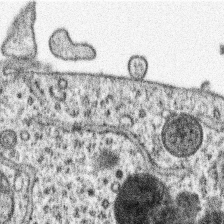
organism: Human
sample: HeLa cells